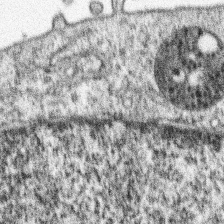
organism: Human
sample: HeLa cells